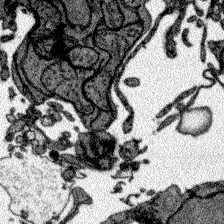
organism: Zebrafish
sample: Larval olfactory bulb